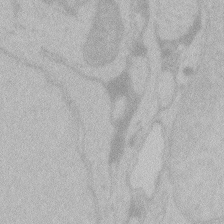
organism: Zebrafish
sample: Macrophage infected with Toxoplasma gondii